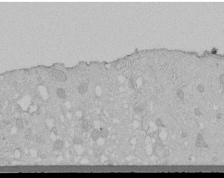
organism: Human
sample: Melanocyte Keratinocyte synapse skin construct